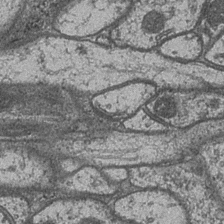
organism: Drosophila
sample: Optic medulla